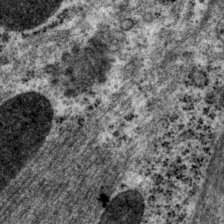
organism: P. pacificus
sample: Pharynx